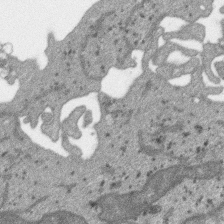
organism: Human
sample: Lung epithelial cells infected with SARS-CoV-2